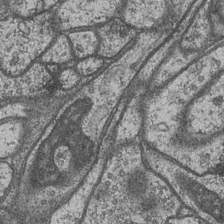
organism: Drosophila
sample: Optic medulla